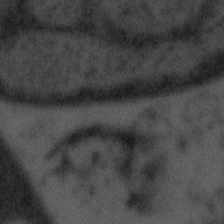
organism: Tuwongella immobilis